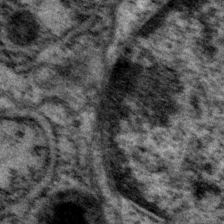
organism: P. pacificus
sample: Pharynx